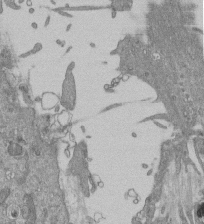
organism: Mouse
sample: ED-1 cell nuclei; centrioles